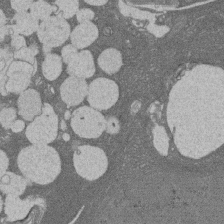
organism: Rat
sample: Salivary granule